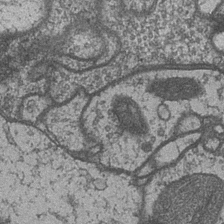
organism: Drosophila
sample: Optic medulla